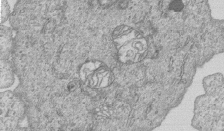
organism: Human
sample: MDA-MB-231 cells